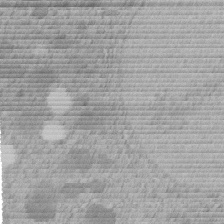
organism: C. elegans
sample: C. elegans embryo early stage